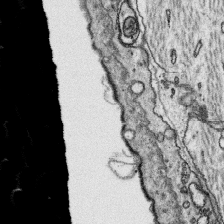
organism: Platynereis dumerilii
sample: Parapodia